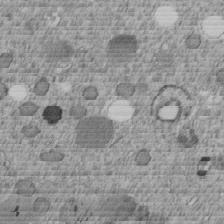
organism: C. elegans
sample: C. elegans embryo early stage